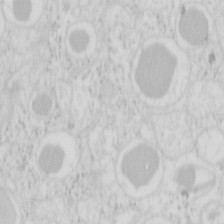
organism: Mouse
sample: Pancreas